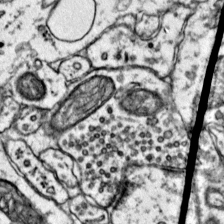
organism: Mouse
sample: Primary visual cortex